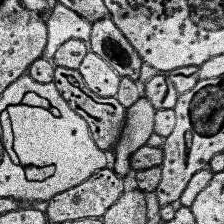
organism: Human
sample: Temporal Lobe